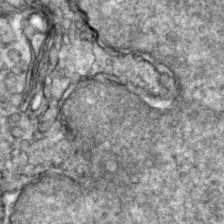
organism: Zebrafish